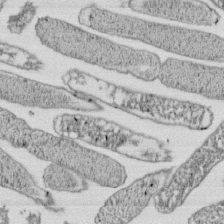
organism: E. coli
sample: Bacterial nucleoid